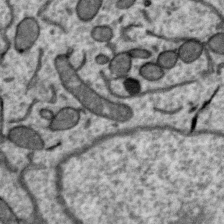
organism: Zebra finch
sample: Brain